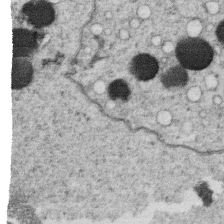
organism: C. elegans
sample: C. elegans oocyte; sperm cells